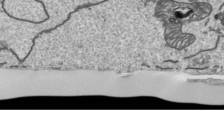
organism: Human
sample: Mitochondria in HCT116 cells